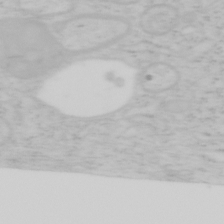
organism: Mouse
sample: OT-I killer T cells with ID8 ovarian cancer cells